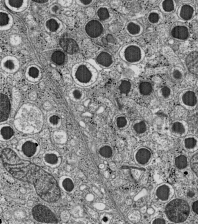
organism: C57BL Mouse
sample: Pancreatic islet